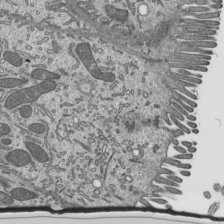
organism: Mouse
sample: Mouse epididymis efferent ductule cilia